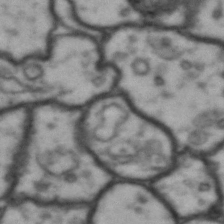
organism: Drosophila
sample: Brain